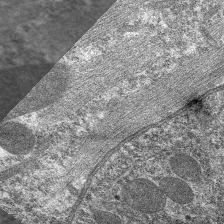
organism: C. elegans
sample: Pharynx